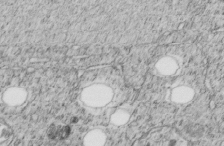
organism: C. elegans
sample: C. elegans embryo early stage